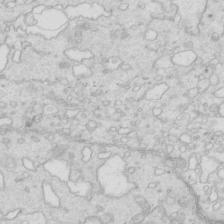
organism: Mouse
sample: Multiciliated cells